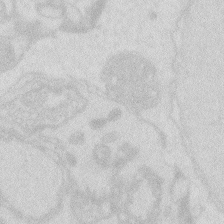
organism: Zebrafish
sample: Macrophage